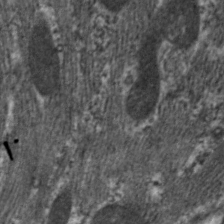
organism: C. elegans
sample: Pharynx